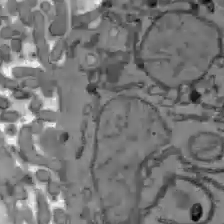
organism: C57BL Mouse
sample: Liver